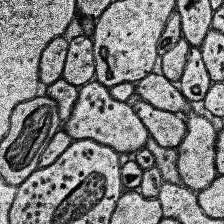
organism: Human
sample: Temporal Lobe